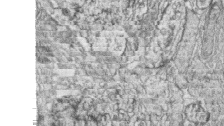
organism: Zebrafish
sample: synaptic ribbons in rod cells and cone cells